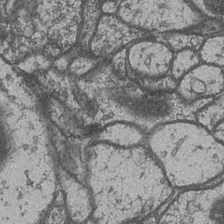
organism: Drosophila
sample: Optic medulla